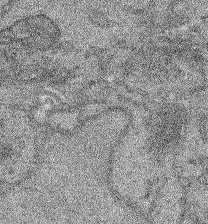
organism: Human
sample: HeLa cells